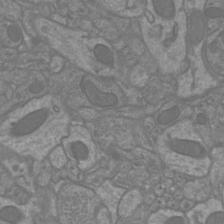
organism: Mouse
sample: Cortical neurons